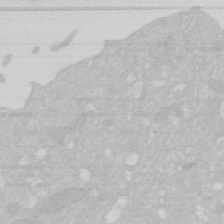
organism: Human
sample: HIV infected U937 cells